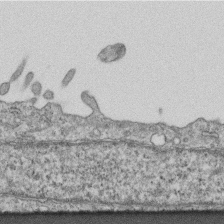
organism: Mouse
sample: Centriole in ependymal cells